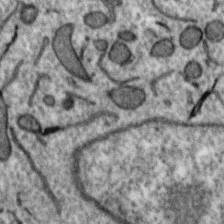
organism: Zebra finch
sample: Brain